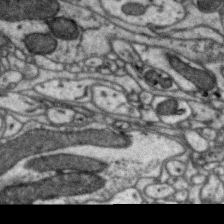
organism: Zebra finch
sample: Brain